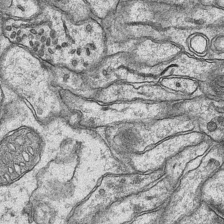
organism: Mouse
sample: CA1 Hippocampus